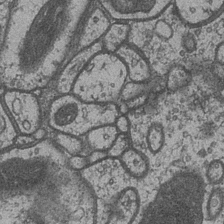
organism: Drosophila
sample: Optic medulla